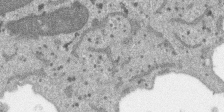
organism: Human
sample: Lung epithelial cells infected with SARS-CoV-2